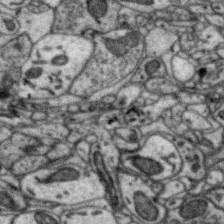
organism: Zebra finch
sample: Brain